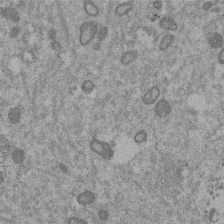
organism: Mouse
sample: Dividing mouse embryo 1 cell stage